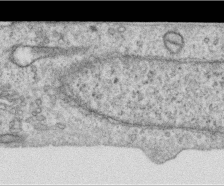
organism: Human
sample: Centriole in RPE cells